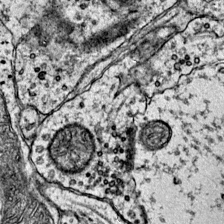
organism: Mouse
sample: Primary visual cortex